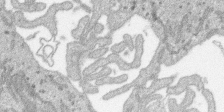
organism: Human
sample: Lung epithelial cells infected with SARS-CoV-2